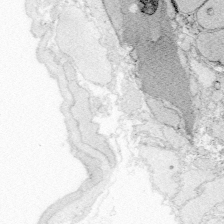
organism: Zebrafish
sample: Whole-Brain